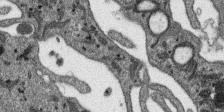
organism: Human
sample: Lung epithelial cells infected with SARS-CoV-2